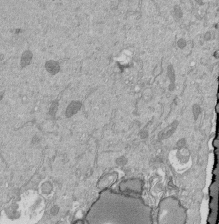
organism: Mouse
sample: ED-1 cell nuclei; centrioles